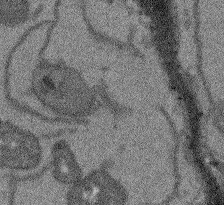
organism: Arabidopsis thaliana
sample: Root tip